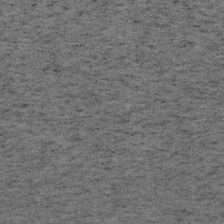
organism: Mouse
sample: OT-I killer T cells with ID8 ovarian cancer cells